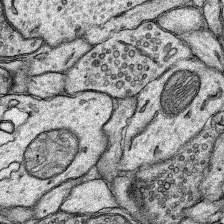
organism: Rat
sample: Hippocampus